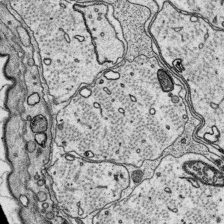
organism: Platynereis dumerilii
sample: Parapodia